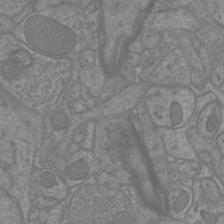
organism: Mouse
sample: Cortical neurons